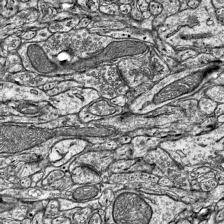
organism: Mouse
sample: Visual Cortex